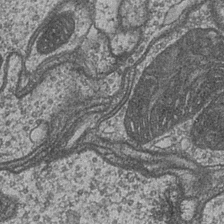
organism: Drosophila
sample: Optic medulla